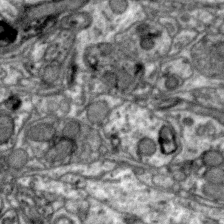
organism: Zebra finch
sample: Brain